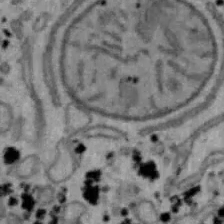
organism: Mouse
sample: Liver